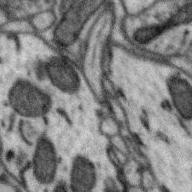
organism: Zebra finch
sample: Brain